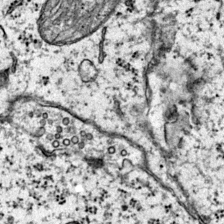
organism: Mouse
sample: Primary visual cortex